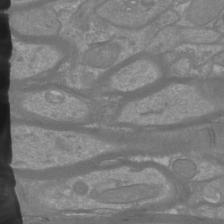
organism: Mouse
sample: Cortical neurons